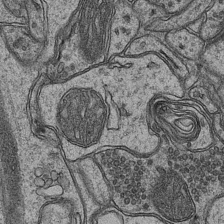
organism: Mouse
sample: CA1 Hippocampus